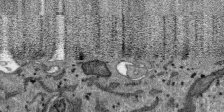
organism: Human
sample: Lung epithelial cells, uninfected (mock) control